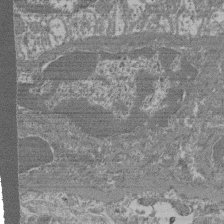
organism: Mouse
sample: Glomerulus